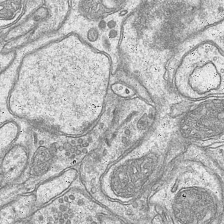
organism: Mouse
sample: CA1 Hippocampus